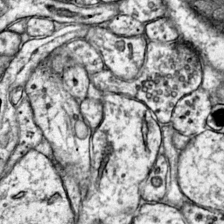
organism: Mouse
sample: Primary visual cortex